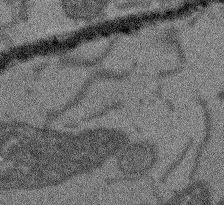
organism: Arabidopsis thaliana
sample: Root tip